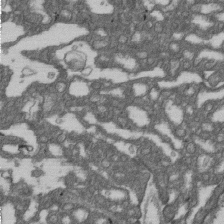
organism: Drosophila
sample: Nephrocyte